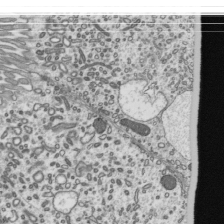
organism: Mouse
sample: Mouse epididymis efferent ductule cilia